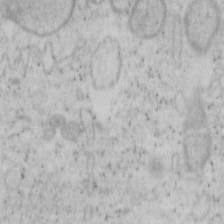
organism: Human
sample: HeLa cells